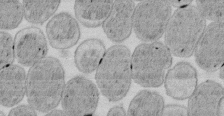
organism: E. coli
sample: Bacterial nucleoid